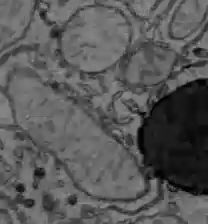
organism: C57BL Mouse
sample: Liver